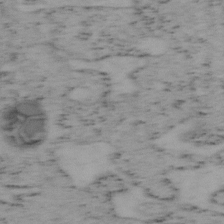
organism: Mouse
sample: OT-I killer T cells with ID8 ovarian cancer cells